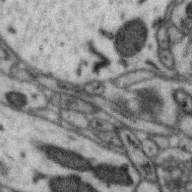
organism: Zebra finch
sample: Brain